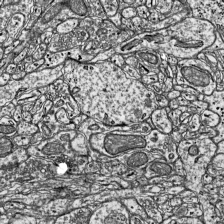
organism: Mouse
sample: Visual Cortex